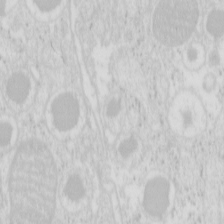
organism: Mouse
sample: Pancreas